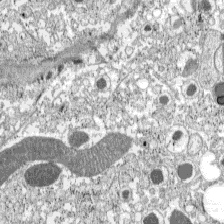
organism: C57BL Mouse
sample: Pancreatic islet